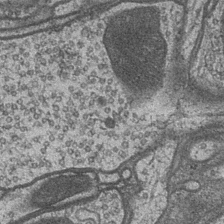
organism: Drosophila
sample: Optic medulla